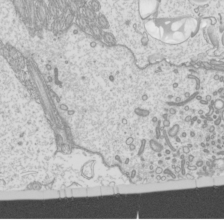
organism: Mouse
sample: Cilia; mouse epididymis